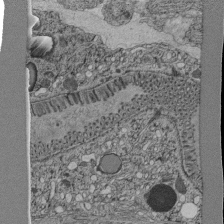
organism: C. elegans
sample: C. elegans pharynx